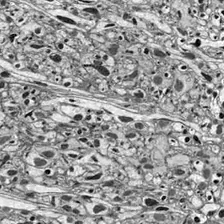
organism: Drosophila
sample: Optic lobe